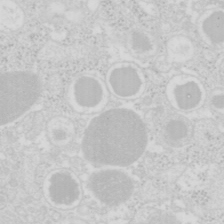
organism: Mouse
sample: Pancreas